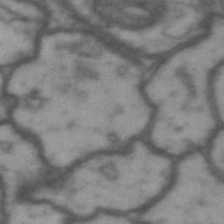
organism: Drosophila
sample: Brain